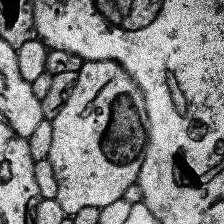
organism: Human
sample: Temporal Lobe